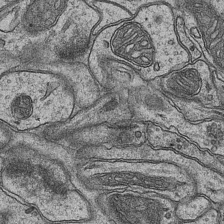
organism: Mouse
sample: CA1 Hippocampus